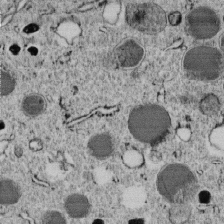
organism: C. elegans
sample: C. elegans embryo early stage